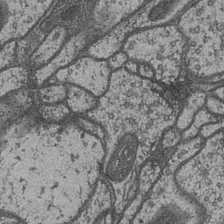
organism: Drosophila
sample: Optic medulla